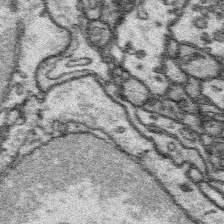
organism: Platynereis dumerilii